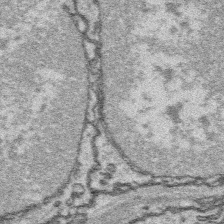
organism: Platynereis dumerilii